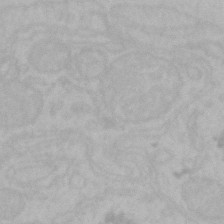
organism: Mouse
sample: Choroid plexus